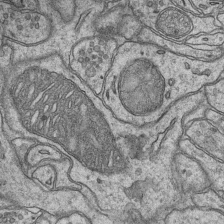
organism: Mouse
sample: CA1 Hippocampus